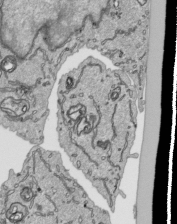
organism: Human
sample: Mitochondria in HCT116 cells